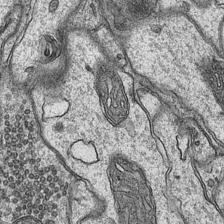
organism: Mouse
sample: CA1 Hippocampus